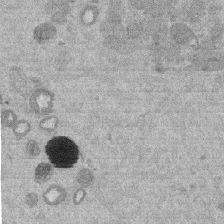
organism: Mouse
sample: Dividing mouse embryo 1 cell stage